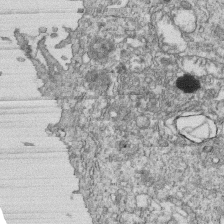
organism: Human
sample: HeLa cell HIV synapse